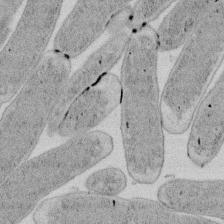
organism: E. coli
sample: Bacterial nucleoid